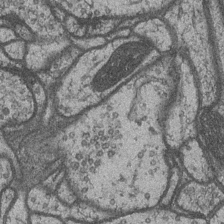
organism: Drosophila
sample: Optic medulla